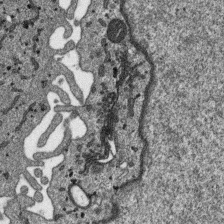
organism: Human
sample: Lung epithelial cells infected with SARS-CoV-2